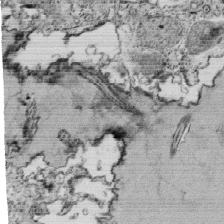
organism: Tetrahymena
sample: Cilia in tetrahymena